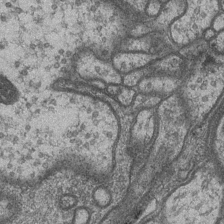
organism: Drosophila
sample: Optic medulla